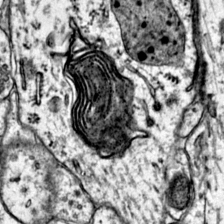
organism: Mouse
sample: Primary visual cortex